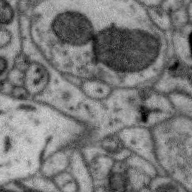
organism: Zebra finch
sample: Brain